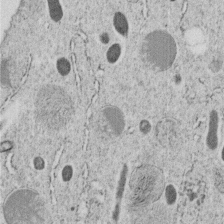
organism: C. elegans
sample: C. elegans embryo early stage